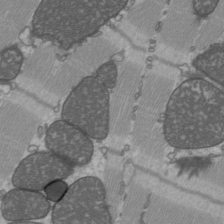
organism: C57BL Mouse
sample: Heart